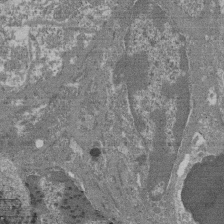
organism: Mouse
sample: Glomerulus